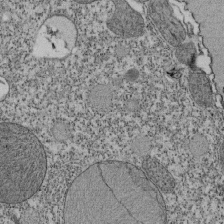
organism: Tetrahymena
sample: Cilia in tetrahymena